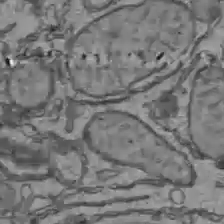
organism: C57BL Mouse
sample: Liver